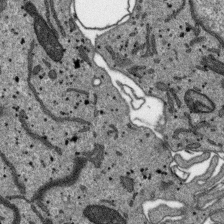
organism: Human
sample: Lung epithelial cells, uninfected (mock) control